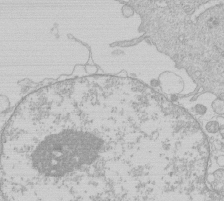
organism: Human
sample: Macrophage cells